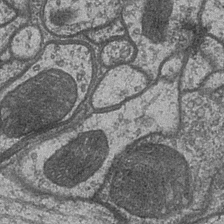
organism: Drosophila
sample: Optic medulla